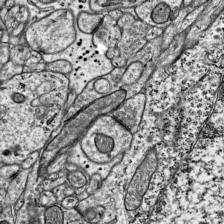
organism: Mouse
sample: Visual Cortex